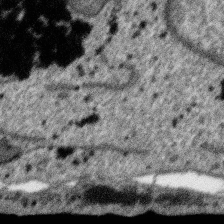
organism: Human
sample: Lung epithelial cells infected with SARS-CoV-2